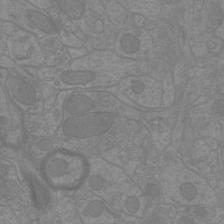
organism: Mouse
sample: Cortical neurons